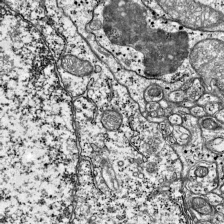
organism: Mouse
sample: Visual Cortex